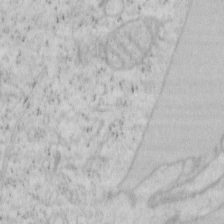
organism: Human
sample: HeLa cells